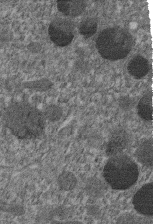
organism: C. elegans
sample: C. elegans embryo early stage